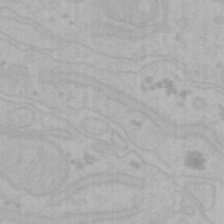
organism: Mouse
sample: Choroid plexus